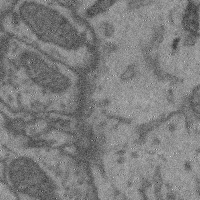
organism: Mouse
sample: Cerebral cortex